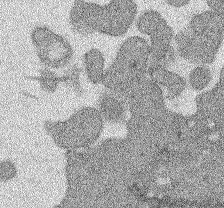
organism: Human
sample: HeLa cells